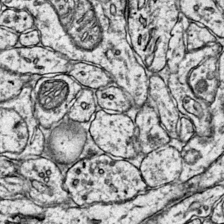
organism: Mouse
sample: Primary visual cortex